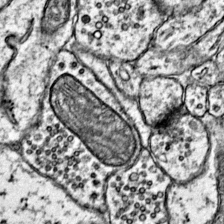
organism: Mouse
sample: Primary visual cortex